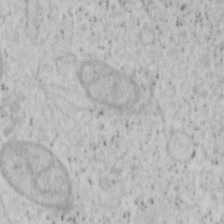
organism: Human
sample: HeLa cells